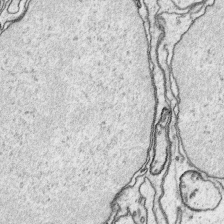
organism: Platynereis dumerilii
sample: Parapodia